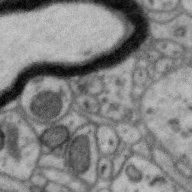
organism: Zebra finch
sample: Brain